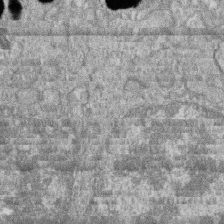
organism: Zebrafish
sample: Cilia; retinal pigment epithelium